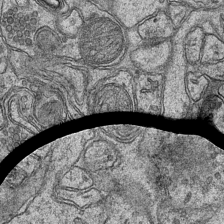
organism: Mouse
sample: CA1 Hippocampus